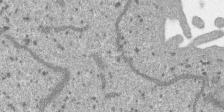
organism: Human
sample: Lung epithelial cells infected with SARS-CoV-2